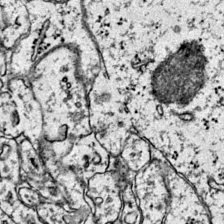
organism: Mouse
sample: Primary visual cortex